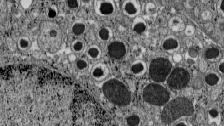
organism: C57BL Mouse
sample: Pancreatic islet